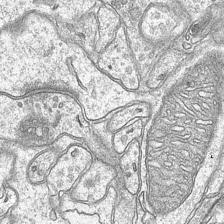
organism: Mouse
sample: CA1 Hippocampus